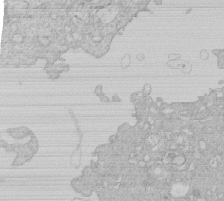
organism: Human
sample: Macrophage cells